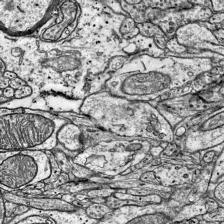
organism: Mouse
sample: Visual Cortex